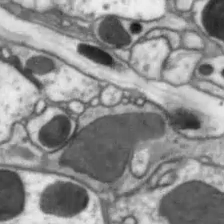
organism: Drosophila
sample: Optic lobe